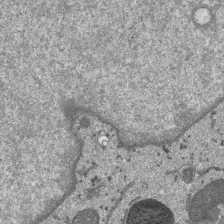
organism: Human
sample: Lung epithelial cells infected with SARS-CoV-2